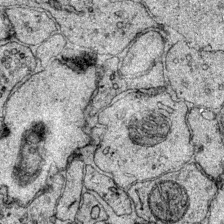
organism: Mouse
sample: Primary visual cortex